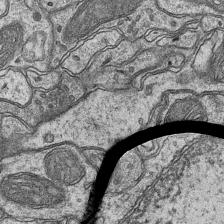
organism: Mouse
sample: CA1 Hippocampus